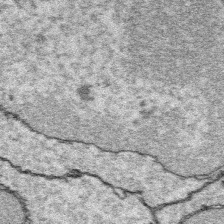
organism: Platynereis dumerilii